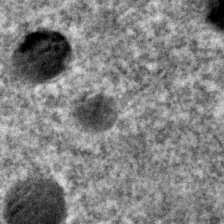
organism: C. elegans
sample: C. elegans embryo